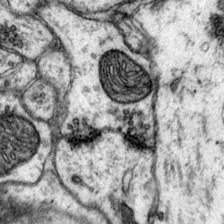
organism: Mouse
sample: Primary visual cortex